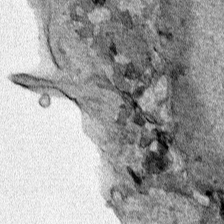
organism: Human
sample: Mitochondria in HCT116 cells